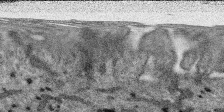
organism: Human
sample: Lung epithelial cells infected with SARS-CoV-2